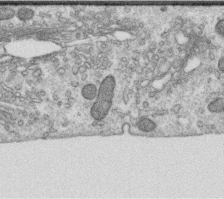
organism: Human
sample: Centriole in RPE cells